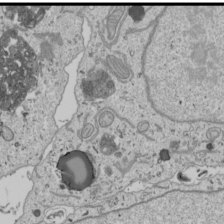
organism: Human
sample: Mitochondria in U2OS cells